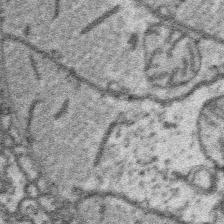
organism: Platynereis dumerilii